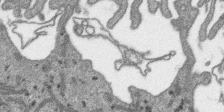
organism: Human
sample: Lung epithelial cells infected with SARS-CoV-2